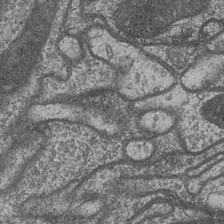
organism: Drosophila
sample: Optic medulla